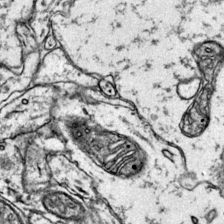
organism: Mouse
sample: Primary visual cortex